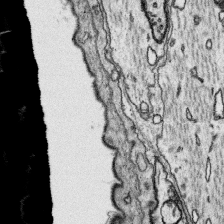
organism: Platynereis dumerilii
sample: Parapodia